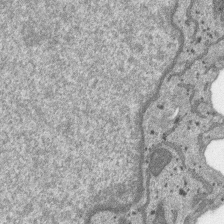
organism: Human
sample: Lung epithelial cells infected with SARS-CoV-2